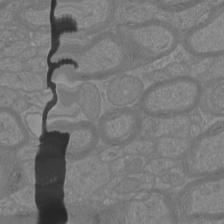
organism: Mouse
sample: Cortical neurons